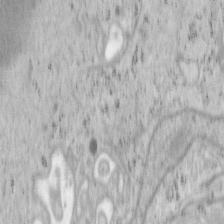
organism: Human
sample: HeLa cells